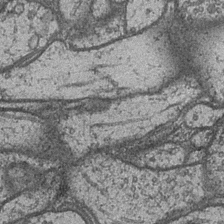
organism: Drosophila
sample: Optic medulla